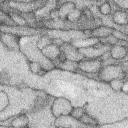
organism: Rabbit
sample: Retina